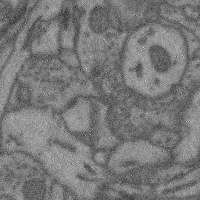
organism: Mouse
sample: Cerebral cortex